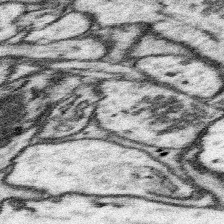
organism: Mouse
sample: Somatosensory cortex neuropil